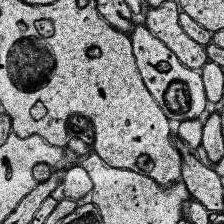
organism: Human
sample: Temporal Lobe